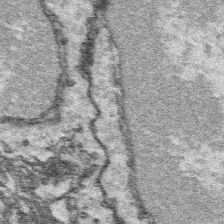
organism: Platynereis dumerilii